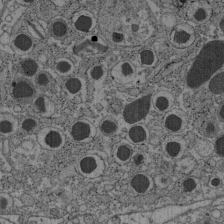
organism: C57BL Mouse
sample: Pancreatic islet